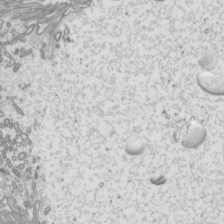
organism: Mouse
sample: Cilia; mouse epididymis